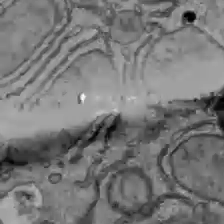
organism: C57BL Mouse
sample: Liver